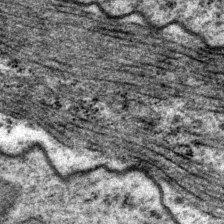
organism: P. pacificus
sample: Pharynx